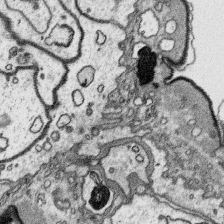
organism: Platynereis dumerilii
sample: Parapodia